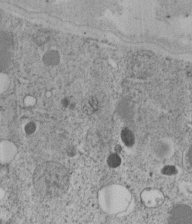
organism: C. elegans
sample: C. elegans embryo early stage